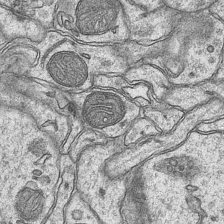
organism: Mouse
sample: CA1 Hippocampus